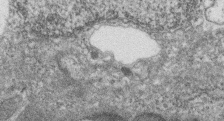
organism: Zebrafish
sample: Cilia; retinal pigment epithelium